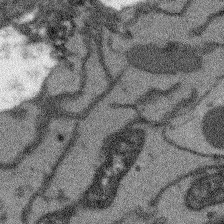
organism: Arabidopsis thaliana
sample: Root tip